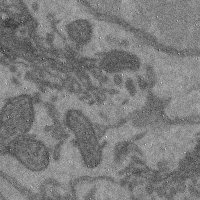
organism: Mouse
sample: Cerebral cortex